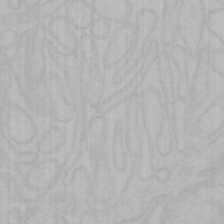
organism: Mouse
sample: Choroid plexus